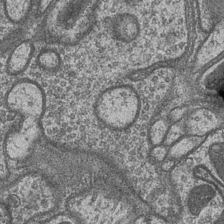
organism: Drosophila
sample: Optic medulla